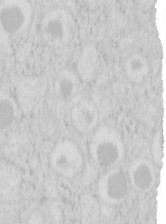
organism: Mouse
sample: Pancreas